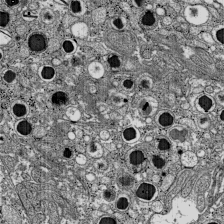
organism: C57BL Mouse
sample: Pancreatic islet